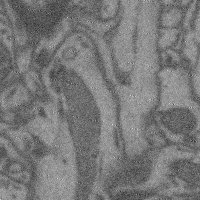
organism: Mouse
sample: Cerebral cortex